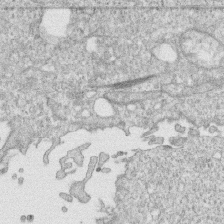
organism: Human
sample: HeLa cell HIV synapse